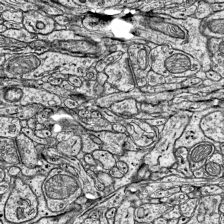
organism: Mouse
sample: Visual Cortex